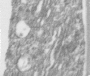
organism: Human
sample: Centriole in RPE cells